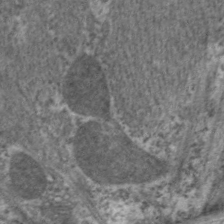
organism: C. elegans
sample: Pharynx